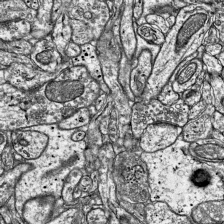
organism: Mouse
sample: Visual Cortex